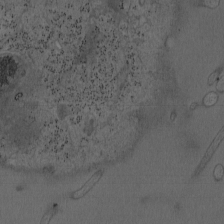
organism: Mouse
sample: OT-I killer T cells with ID8 ovarian cancer cells